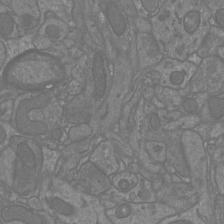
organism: Mouse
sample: Cortical neurons